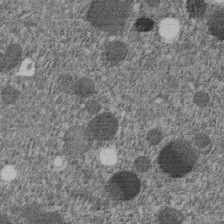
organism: C. elegans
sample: C. elegans embryo early stage